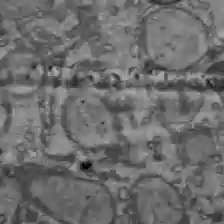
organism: C57BL Mouse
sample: Liver